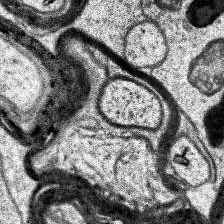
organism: Human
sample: Temporal Lobe